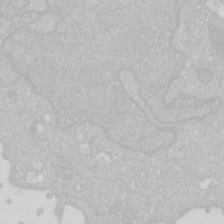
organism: Human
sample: HIV infected U937 cells